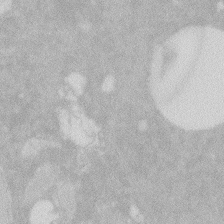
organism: Zebrafish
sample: Macrophage